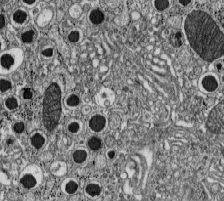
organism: C57BL Mouse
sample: Pancreatic islet